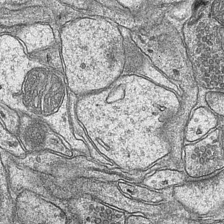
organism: Mouse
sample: CA1 Hippocampus